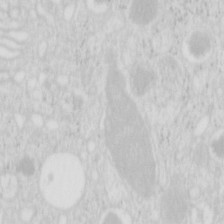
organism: Mouse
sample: Pancreas